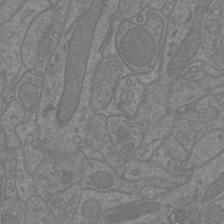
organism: Mouse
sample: Cortical neurons